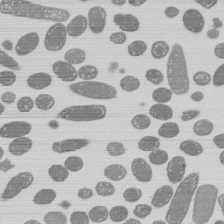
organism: E. coli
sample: Bacterial nucleoid